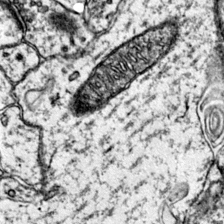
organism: Mouse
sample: Primary visual cortex